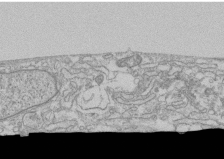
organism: Human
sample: CRL-1474